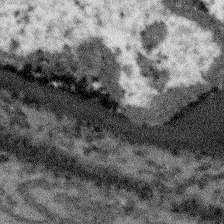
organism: Arabidopsis thaliana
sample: Root tip